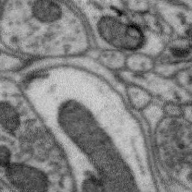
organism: Zebra finch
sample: Brain